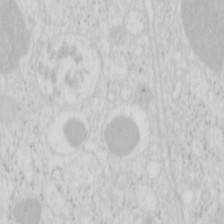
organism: Mouse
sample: Pancreas